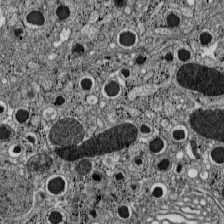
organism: C57BL Mouse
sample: Pancreatic islet